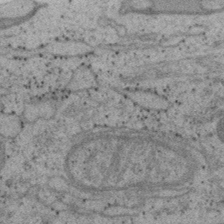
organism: Human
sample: HeLa cells